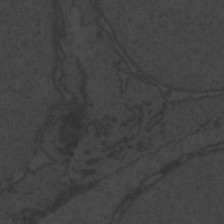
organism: Zebrafish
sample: Macrophage infected with Toxoplasma gondii